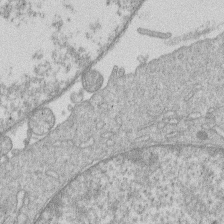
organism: Human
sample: Macrophage cells